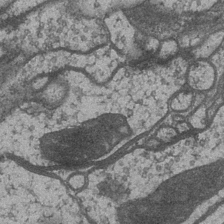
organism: Drosophila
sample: Optic medulla